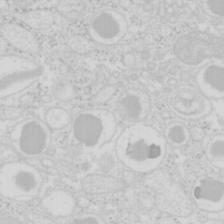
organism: Mouse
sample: Pancreas